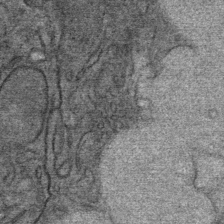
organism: Mouse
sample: Mouse Salivary gland